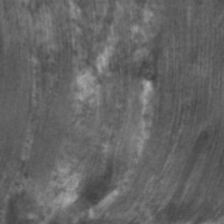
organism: C. elegans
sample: Pharynx